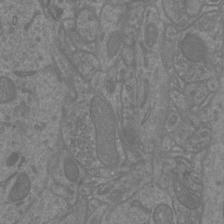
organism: Mouse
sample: Cortical neurons